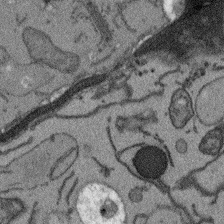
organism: Arabidopsis thaliana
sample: Root tip